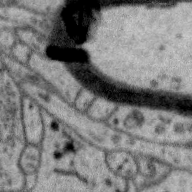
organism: Zebra finch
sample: Brain